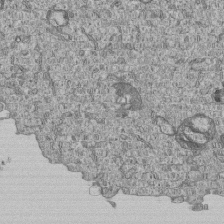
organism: Human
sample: MDA-MB-231 cells